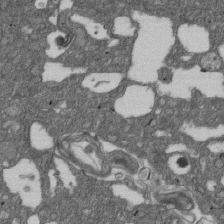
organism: Drosophila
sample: Nephrocyte